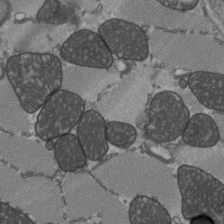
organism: C57BL Mouse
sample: Heart